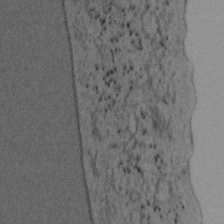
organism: Human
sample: HeLa cells